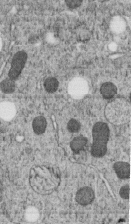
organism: C. elegans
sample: C. elegans embryo early stage